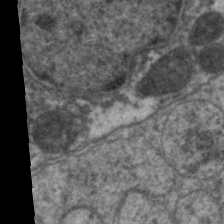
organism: C. elegans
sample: Pharynx